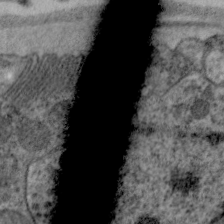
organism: C. elegans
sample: Pharynx